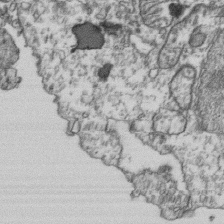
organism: Human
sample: Activated Jurkat CD4+ T cells